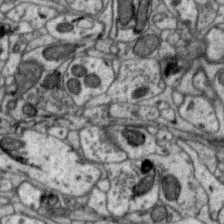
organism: Zebra finch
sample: Brain